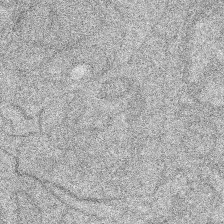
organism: Zebrafish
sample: Cilia; retinal pigment epithelium